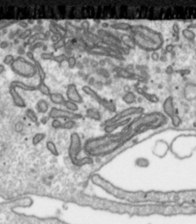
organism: Toxoplasma gondii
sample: Parasites in a vacuole inside a host cell